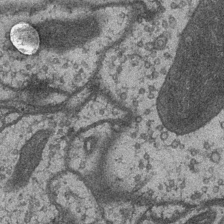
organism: Drosophila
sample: Optic medulla